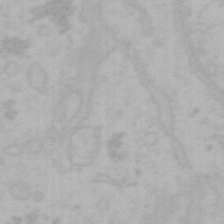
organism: Mouse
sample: Choroid plexus